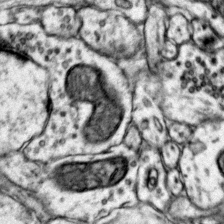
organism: Mouse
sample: Primary visual cortex